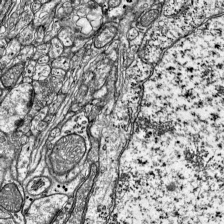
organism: Mouse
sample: Visual Cortex